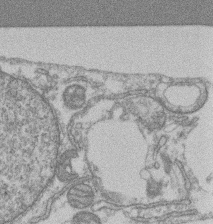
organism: Mouse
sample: T cell stromal cell synapse